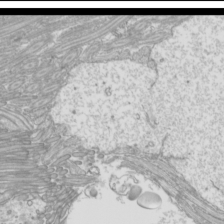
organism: Mouse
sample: Cilia; mouse epididymis